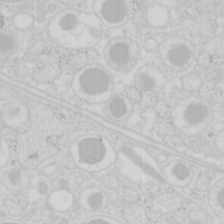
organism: Mouse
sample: Pancreas